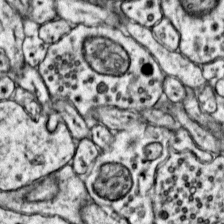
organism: Mouse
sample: Primary visual cortex